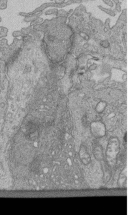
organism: Human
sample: Retinal organoid Rod and Cone cells